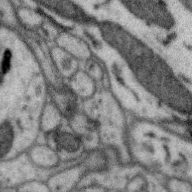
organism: Zebra finch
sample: Brain